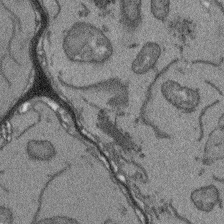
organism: Arabidopsis thaliana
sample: Root tip